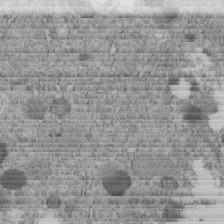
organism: C. elegans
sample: C. elegans embryo early stage